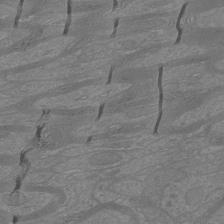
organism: Mouse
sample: Cortical neurons